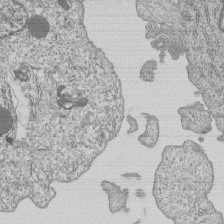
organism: Human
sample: MDA-MB-231 cells